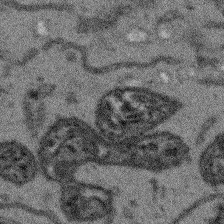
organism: Arabidopsis thaliana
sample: Root tip